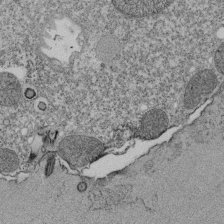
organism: Tetrahymena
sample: Cilia in tetrahymena